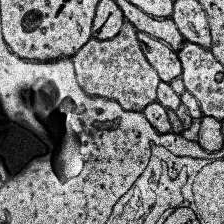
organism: Human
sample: Temporal Lobe